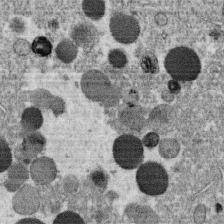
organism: C. elegans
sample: C. elegans oocyte; sperm cells